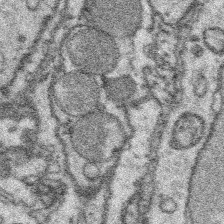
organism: Platynereis dumerilii